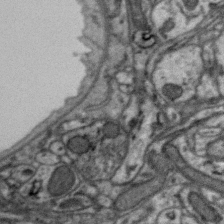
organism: Zebra finch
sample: Brain